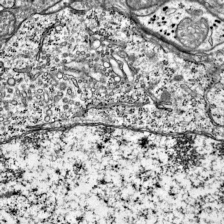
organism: Mouse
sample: Visual Cortex